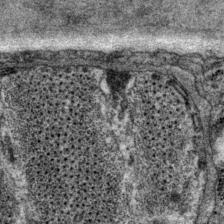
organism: P. pacificus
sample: Pharynx